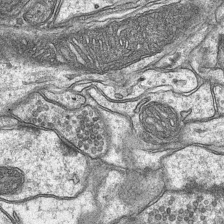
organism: Mouse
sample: CA1 Hippocampus